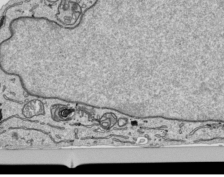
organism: Human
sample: Mitochondria in HCT116 cells